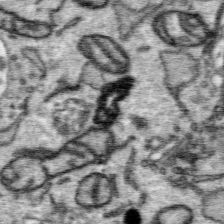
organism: Human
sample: HeLa cells